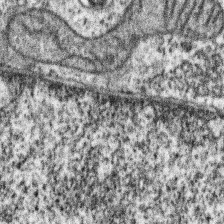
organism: Human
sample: HeLa cells